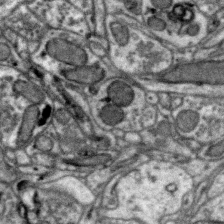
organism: Zebra finch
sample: Brain